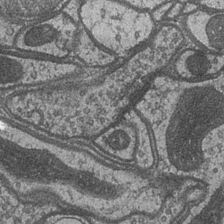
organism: Drosophila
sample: Optic medulla